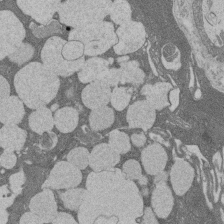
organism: Rat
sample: Salivary granule